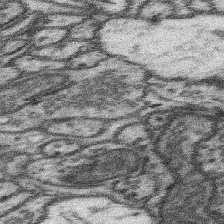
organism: Mouse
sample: Somatosensory cortex neuropil